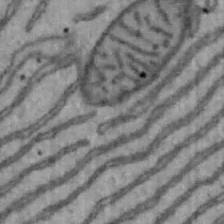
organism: Mouse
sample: Liver